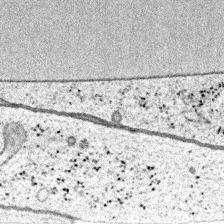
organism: Human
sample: HeLa cells